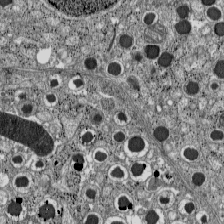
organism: C57BL Mouse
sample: Pancreatic islet